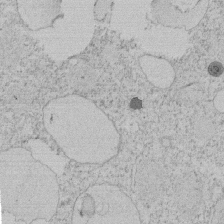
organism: Tetrahymena